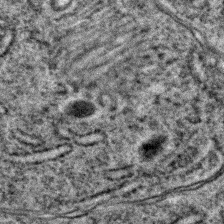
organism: C. elegans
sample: C. elegans embryo